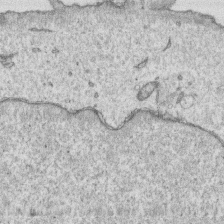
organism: Human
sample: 1205lu cells